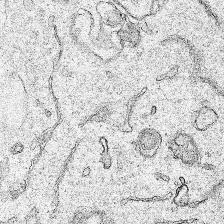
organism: Human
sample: Mitochondria in HCT116 cells